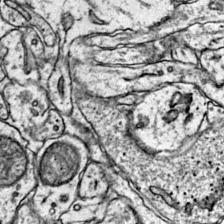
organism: Mouse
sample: Primary visual cortex